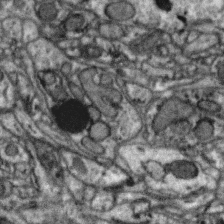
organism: Zebra finch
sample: Brain